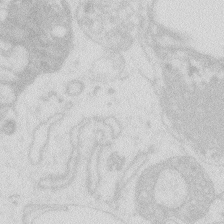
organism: Zebrafish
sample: Macrophage